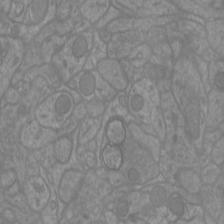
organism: Mouse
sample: Cortical neurons